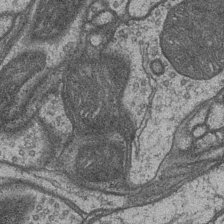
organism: Drosophila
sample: Optic medulla